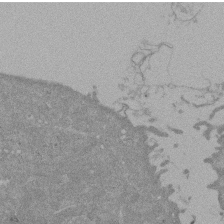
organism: Mouse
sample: ED-1 cell nuclei; centrioles